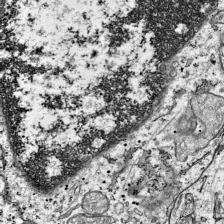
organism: Mouse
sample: Visual Cortex